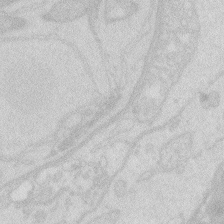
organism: Zebrafish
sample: Macrophage